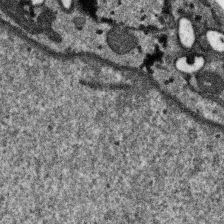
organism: Human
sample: Lung epithelial cells infected with SARS-CoV-2